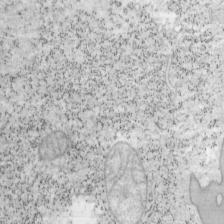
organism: Mouse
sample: OT-I killer T cells with ID8 ovarian cancer cells